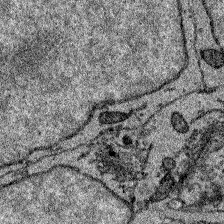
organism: Zebrafish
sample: Larval olfactory bulb